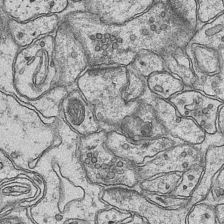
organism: Mouse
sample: CA1 Hippocampus